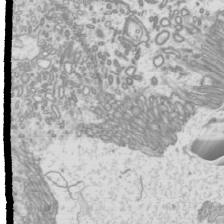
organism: Mouse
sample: Cilia; mouse epididymis